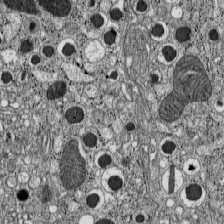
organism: C57BL Mouse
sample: Pancreatic islet